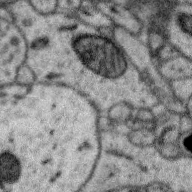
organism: Zebra finch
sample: Brain